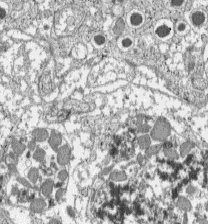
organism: C57BL Mouse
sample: Pancreatic islet